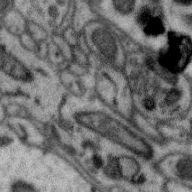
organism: Zebra finch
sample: Brain